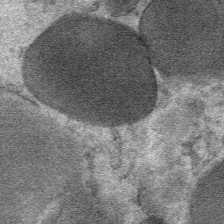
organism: Mouse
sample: Mouse Salivary gland